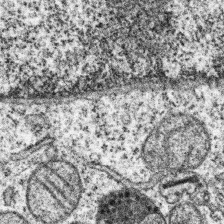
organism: Human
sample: HeLa cells